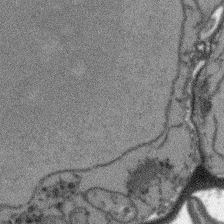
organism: Arabidopsis thaliana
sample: Root tip